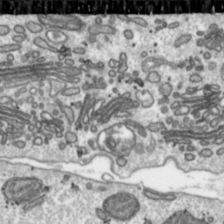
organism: Toxoplasma gondii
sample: Parasites in a vacuole inside a host cell